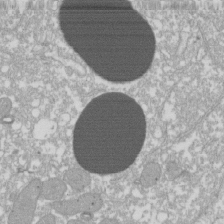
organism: Xenopus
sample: Cilia; centrioles in frog embryo cells